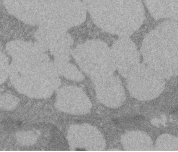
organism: Rat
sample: Salivary granule